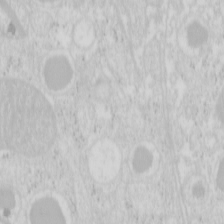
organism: Mouse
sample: Pancreas